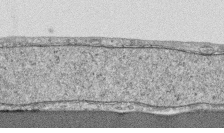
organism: Human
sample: CRL-1474